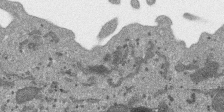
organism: Human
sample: Lung epithelial cells infected with SARS-CoV-2